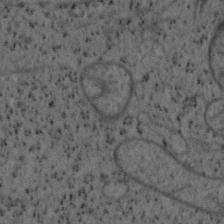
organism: Human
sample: HeLa cells